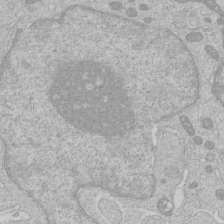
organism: Human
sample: Macrophage cells